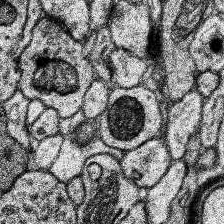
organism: Human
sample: Temporal Lobe